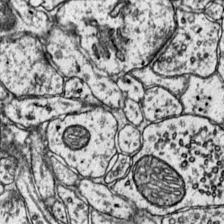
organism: Mouse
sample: Primary visual cortex